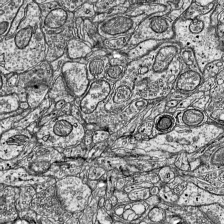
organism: Mouse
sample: Visual Cortex